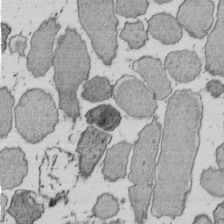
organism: E. coli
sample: Bacterial nucleoid